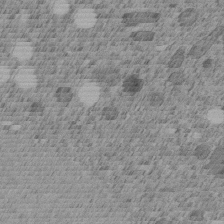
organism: C. elegans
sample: C. elegans embryo early stage